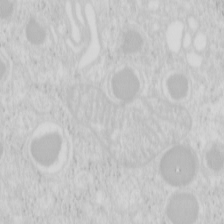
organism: Mouse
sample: Pancreas